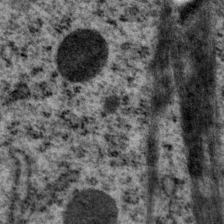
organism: P. pacificus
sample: Pharynx